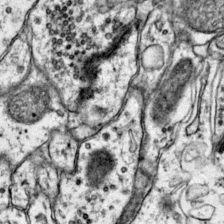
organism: Mouse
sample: Primary visual cortex